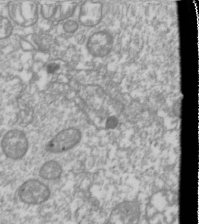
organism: Drosophila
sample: Cell division; meiosis; drosophila spermatocytes